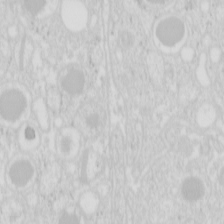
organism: Mouse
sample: Pancreas